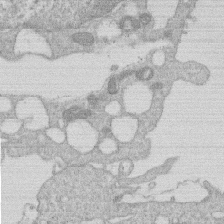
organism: Human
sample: Macrophage cells